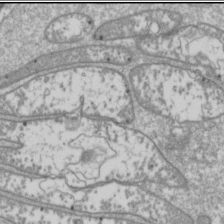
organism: Drosophila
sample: Cell division; meiosis; drosophila spermatocytes